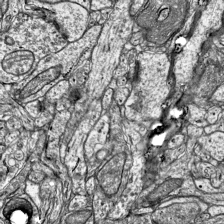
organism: Mouse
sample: Visual Cortex